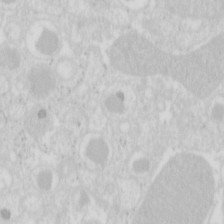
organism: Mouse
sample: Pancreas